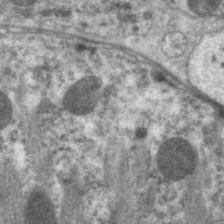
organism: C. elegans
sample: Pharynx